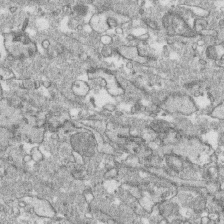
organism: Human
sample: CRL-1474